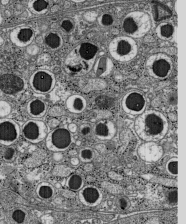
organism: C57BL Mouse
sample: Pancreatic islet